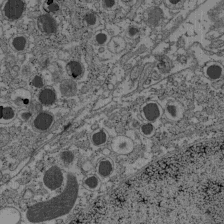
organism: C57BL Mouse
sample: Pancreatic islet